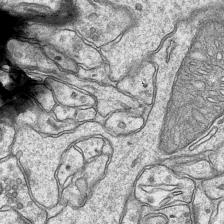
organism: Mouse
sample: CA1 Hippocampus